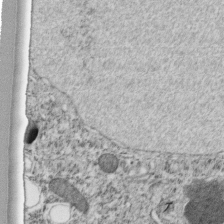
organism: C. elegans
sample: C. elegans embryo early stage